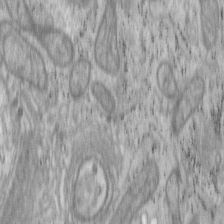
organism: Human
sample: HeLa cells